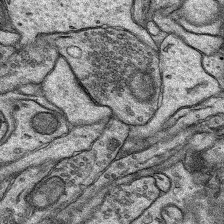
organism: Rat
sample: Hippocampus